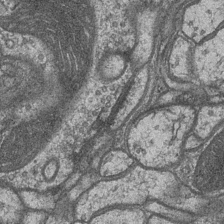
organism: Drosophila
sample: Optic medulla